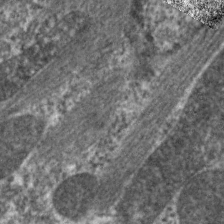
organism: C. elegans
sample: Pharynx